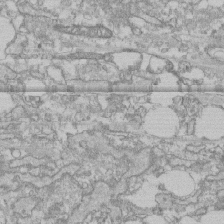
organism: Human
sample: CRL-1474